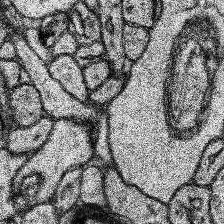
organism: Human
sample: Temporal Lobe